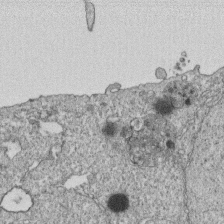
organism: Human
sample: HeLa cell HIV synapse